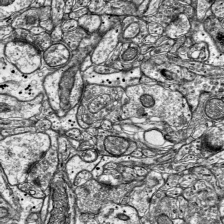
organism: Mouse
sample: Visual Cortex